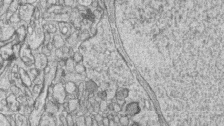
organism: Zebrafish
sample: synaptic ribbons in rod cells and cone cells